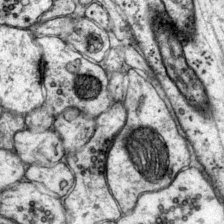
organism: Mouse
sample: Primary visual cortex